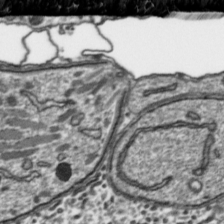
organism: Toxoplasma gondii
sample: Parasites in a vacuole inside a host cell